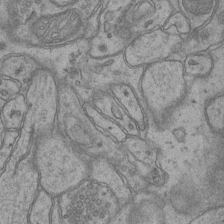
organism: Mouse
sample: CA1 Hippocampus